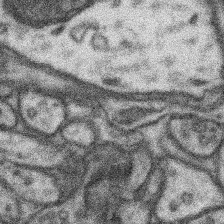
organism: Mouse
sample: Somatosensory cortex neuropil